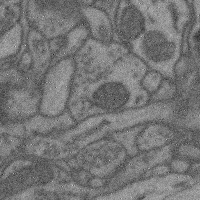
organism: Mouse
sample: Cerebral cortex